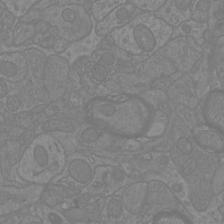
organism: Mouse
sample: Cortical neurons